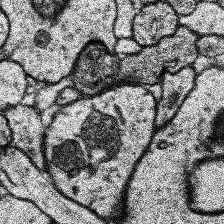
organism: Human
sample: Temporal Lobe